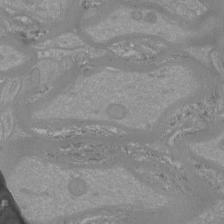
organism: Mouse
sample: Cortical neurons